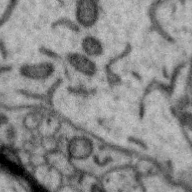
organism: Zebra finch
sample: Brain